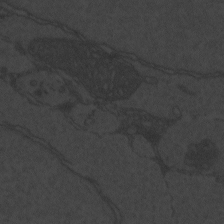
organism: Zebrafish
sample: Macrophage infected with Toxoplasma gondii